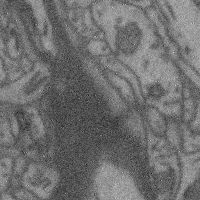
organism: Mouse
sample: Cerebral cortex